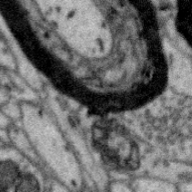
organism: Zebra finch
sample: Brain